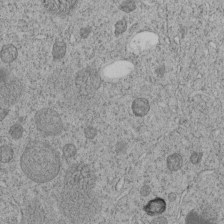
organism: C. elegans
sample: C. elegans embryo early stage